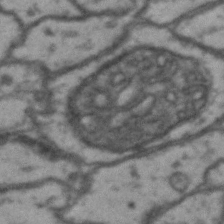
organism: Drosophila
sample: Brain